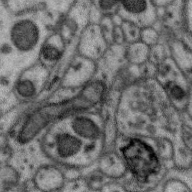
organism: Zebra finch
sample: Brain